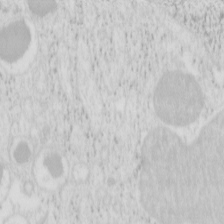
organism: Mouse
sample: Pancreas